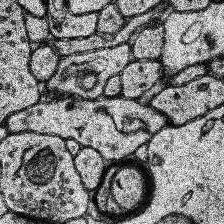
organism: Human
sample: Temporal Lobe